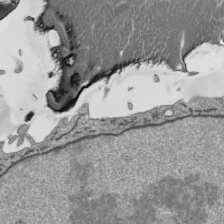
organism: Human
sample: Mitochondria in HCT116 cells